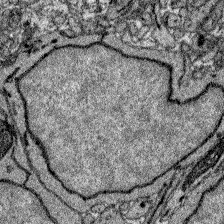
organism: Zebrafish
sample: Larval olfactory bulb